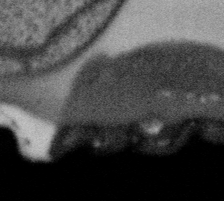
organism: Gemmata obscuriglobus